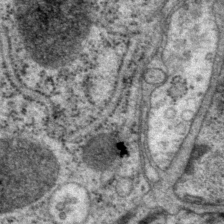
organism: P. pacificus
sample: Pharynx